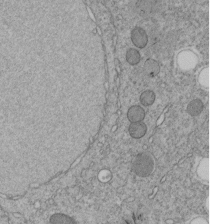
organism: C. elegans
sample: C. elegans embryo early stage